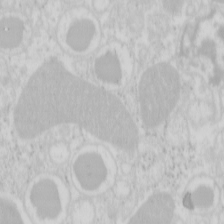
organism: Mouse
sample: Pancreas